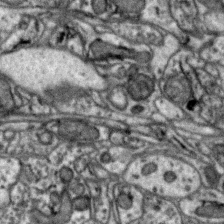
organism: Zebra finch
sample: Brain